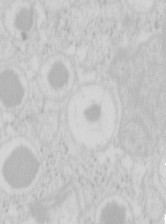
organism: Mouse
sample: Pancreas